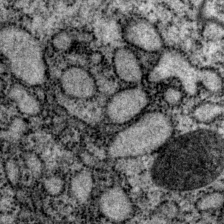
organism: P. pacificus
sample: Pharynx